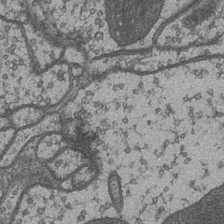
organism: Drosophila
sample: Optic medulla